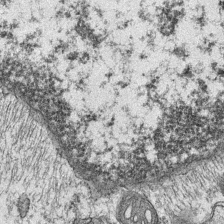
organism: Mouse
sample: CA1 Hippocampus